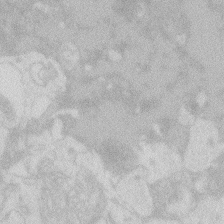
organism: Zebrafish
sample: Macrophage